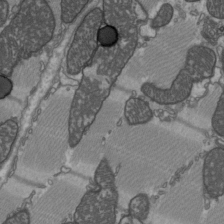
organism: C57BL Mouse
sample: Heart